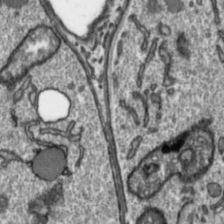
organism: Toxoplasma gondii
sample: Parasites in a vacuole inside a host cell